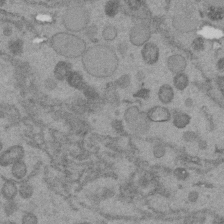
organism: C. elegans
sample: C. elegans embryo early stage